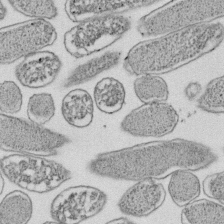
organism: E. coli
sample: Bacterial nucleoid